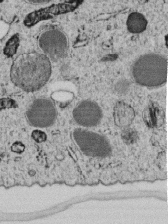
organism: C. elegans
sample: C. elegans embryo early stage